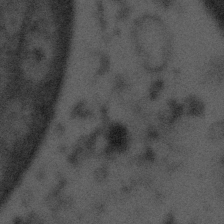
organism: Tuwongella immobilis